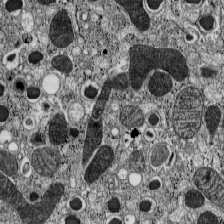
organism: C57BL Mouse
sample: Pancreatic islet